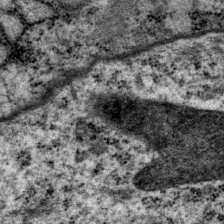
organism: P. pacificus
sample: Pharynx